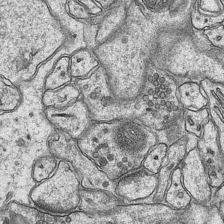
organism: Mouse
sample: CA1 Hippocampus